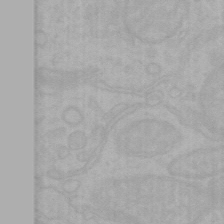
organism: Mouse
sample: Choroid plexus